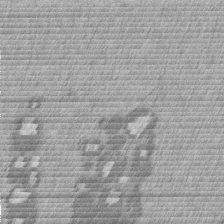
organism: Mouse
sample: Dividing mouse embryo 1 cell stage